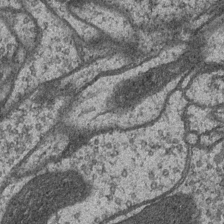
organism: Drosophila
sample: Optic medulla